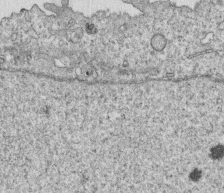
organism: Human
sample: HeLa cell HIV synapse